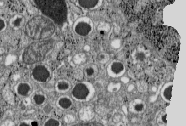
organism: C57BL Mouse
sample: Pancreatic islet